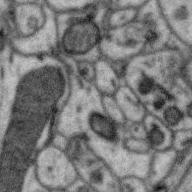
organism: Zebra finch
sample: Brain